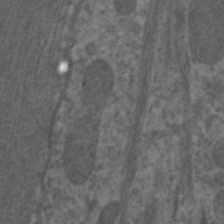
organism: C. elegans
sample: Pharynx